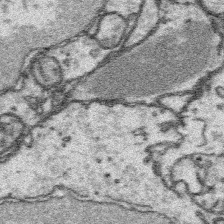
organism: Platynereis dumerilii